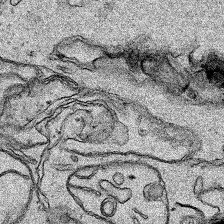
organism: Human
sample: Mitochondria in HCT116 cells